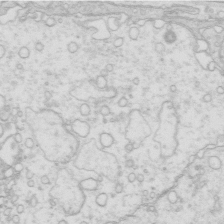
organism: Mouse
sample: Multiciliated cells